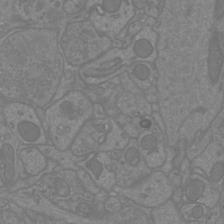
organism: Mouse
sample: Cortical neurons